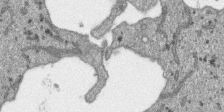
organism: Human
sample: Lung epithelial cells infected with SARS-CoV-2